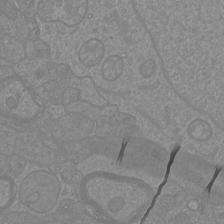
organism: Mouse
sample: Cortical neurons